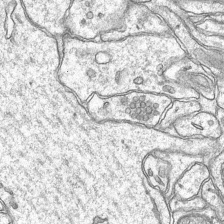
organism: Mouse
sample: CA1 Hippocampus